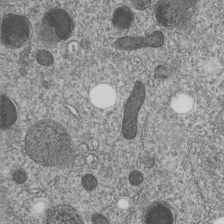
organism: C. elegans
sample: C. elegans embryo early stage